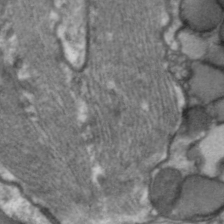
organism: C. elegans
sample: Pharynx